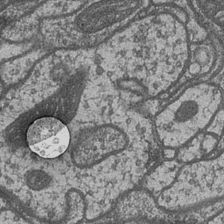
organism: Drosophila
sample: Optic medulla